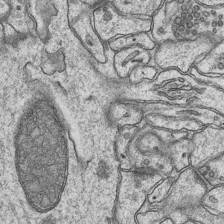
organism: Mouse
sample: CA1 Hippocampus